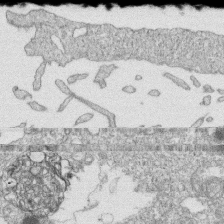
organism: Human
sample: HeLa cell HIV synapse